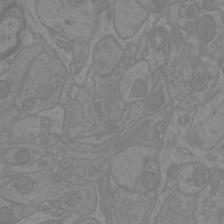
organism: Mouse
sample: Cortical neurons